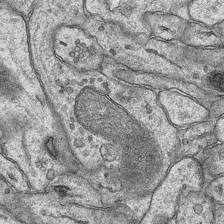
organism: Mouse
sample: CA1 Hippocampus